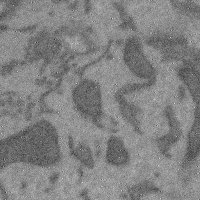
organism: Mouse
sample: Cerebral cortex